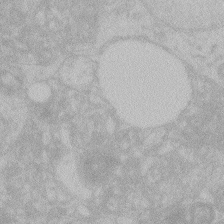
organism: Zebrafish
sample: Macrophage infected with Toxoplasma gondii